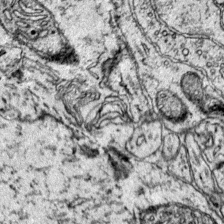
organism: Mouse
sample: Primary visual cortex